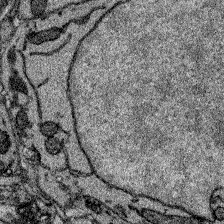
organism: Zebrafish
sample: Larval olfactory bulb